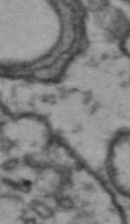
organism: Drosophila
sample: Brain